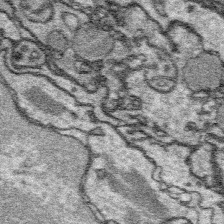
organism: Platynereis dumerilii